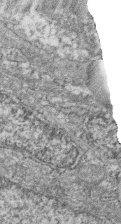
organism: Zebrafish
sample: Cilia; retinal pigment epithelium